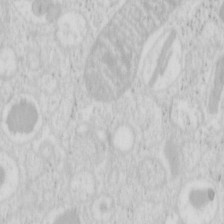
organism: Mouse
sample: Pancreas